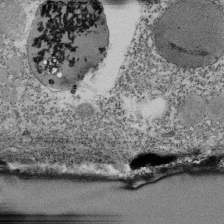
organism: Tetrahymena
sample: Cilia in tetrahymena